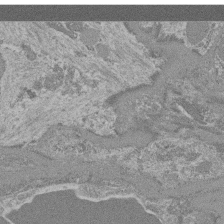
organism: Mouse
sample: Glomerulus